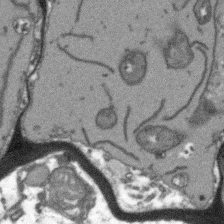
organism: Arabidopsis thaliana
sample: Root tip